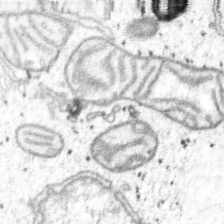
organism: Human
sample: HeLa cells